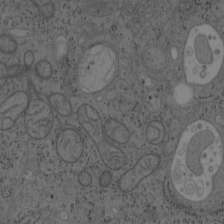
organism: Mouse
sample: OT-I killer T cells with ID8 ovarian cancer cells